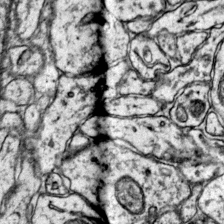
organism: Mouse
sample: Primary visual cortex